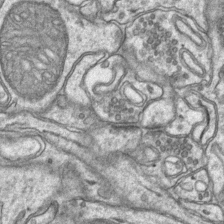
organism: Mouse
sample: CA1 Hippocampus